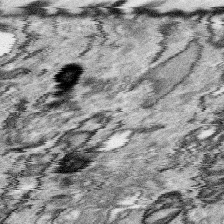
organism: Human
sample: HeLa cells